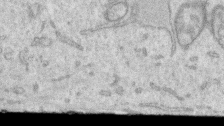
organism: Human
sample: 1205lu cells